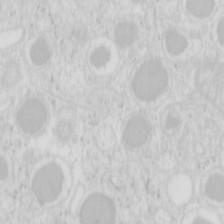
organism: Mouse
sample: Pancreas